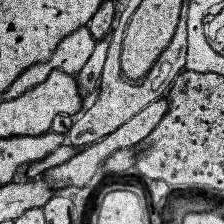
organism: Human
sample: Temporal Lobe